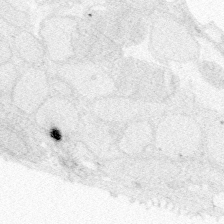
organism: Zebrafish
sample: Whole-Brain